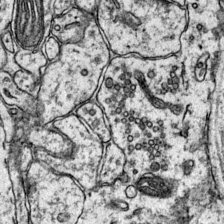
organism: Mouse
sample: Primary visual cortex